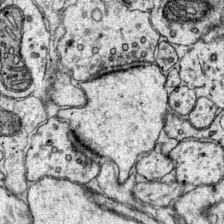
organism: Mouse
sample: Primary visual cortex